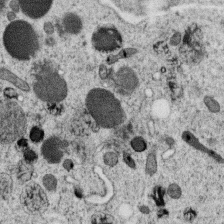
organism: C. elegans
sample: C. elegans oocyte; sperm cells